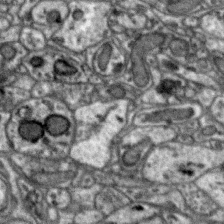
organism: Zebra finch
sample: Brain